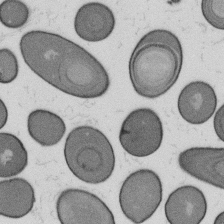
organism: B. subtilis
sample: Bacterial spore